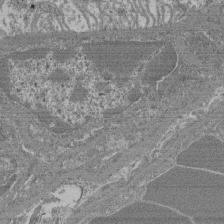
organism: Mouse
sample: Glomerulus